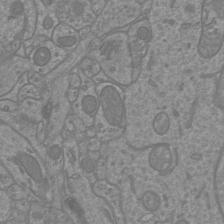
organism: Mouse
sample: Cortical neurons